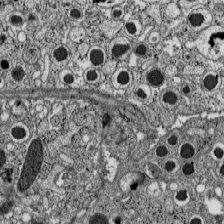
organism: C57BL Mouse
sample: Pancreatic islet